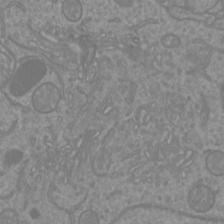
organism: Mouse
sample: Cortical neurons